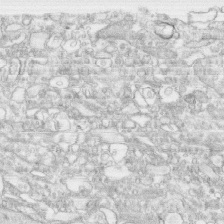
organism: Human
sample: CRL-1474